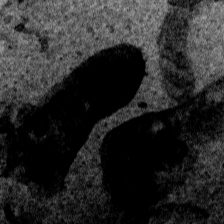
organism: Human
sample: Mitochondria in HCT116 cells